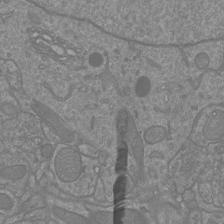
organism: Mouse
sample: Cortical neurons